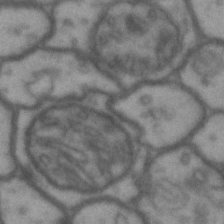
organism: Drosophila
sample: Brain